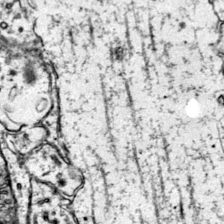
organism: Mouse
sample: Primary visual cortex